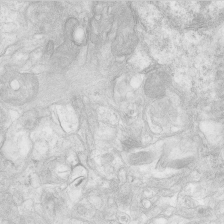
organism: Human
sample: Neocortex